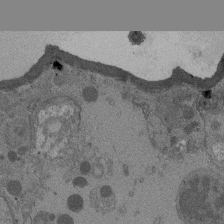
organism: Drosophila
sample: Antenna